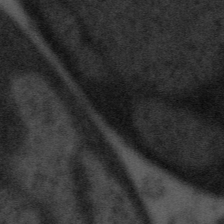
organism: Tuwongella immobilis